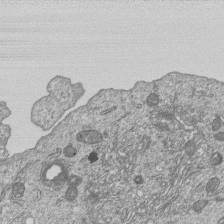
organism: Human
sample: MDA-MB-231 cells